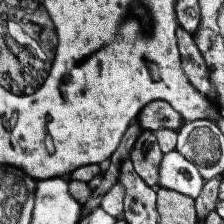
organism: Human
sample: Temporal Lobe